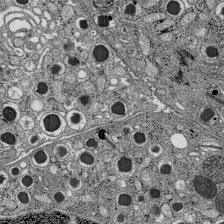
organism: C57BL Mouse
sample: Pancreatic islet